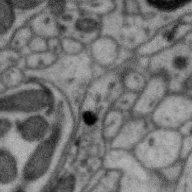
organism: Zebra finch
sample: Brain